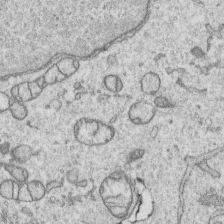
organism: Human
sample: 1205lu cells